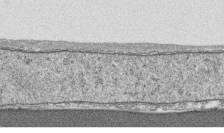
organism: Human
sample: CRL-1474